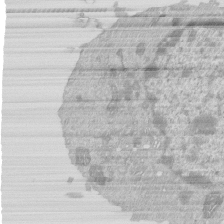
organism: Mouse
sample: Activated Pmel transgenic CD8+ T Cells